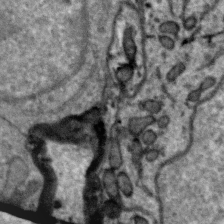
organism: Zebra finch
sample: Brain